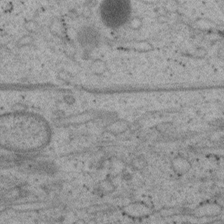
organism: Human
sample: HeLa cells